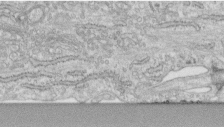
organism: Human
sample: Centriole in fibroblast cells